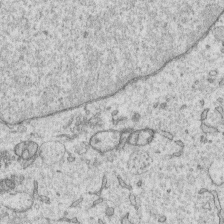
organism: Human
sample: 1205lu cells